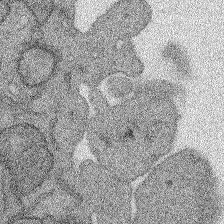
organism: Human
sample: HeLa cells